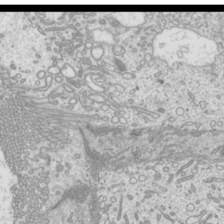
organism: Mouse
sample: Cilia; mouse epididymis